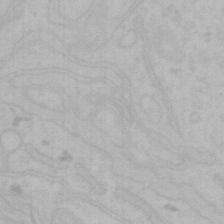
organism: Mouse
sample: Choroid plexus